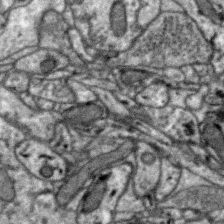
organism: Zebra finch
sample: Brain